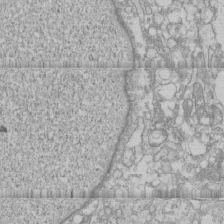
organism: Human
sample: CRL-1474